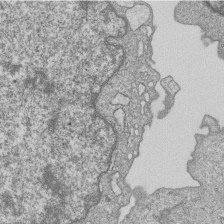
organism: Human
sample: MDA-MB-231 cells